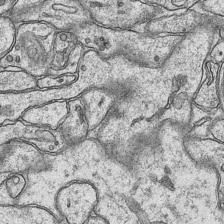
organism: Mouse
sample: CA1 Hippocampus